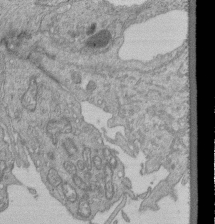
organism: Human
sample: Retinal organoid Rod and Cone cells